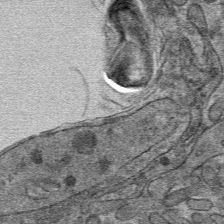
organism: Mouse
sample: Mouse hepatocytes